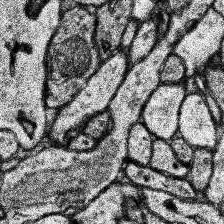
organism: Human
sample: Temporal Lobe